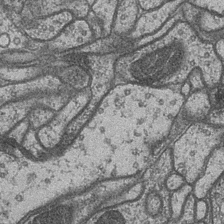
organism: Drosophila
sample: Optic medulla